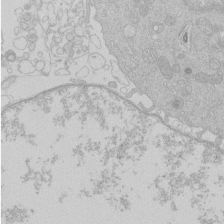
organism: Human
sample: Macrophage cells